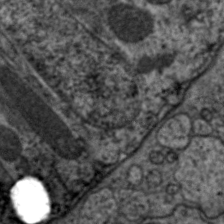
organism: C. elegans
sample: Pharynx